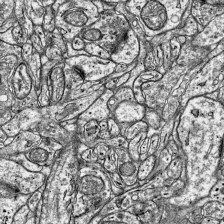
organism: Mouse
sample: Visual Cortex